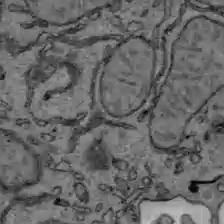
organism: C57BL Mouse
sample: Liver